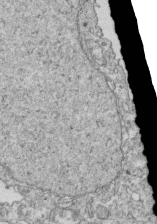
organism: Human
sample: HeLa cell HIV synapse